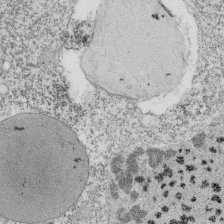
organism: Tetrahymena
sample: Cilia in tetrahymena